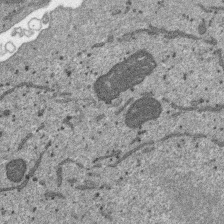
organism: Human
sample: Lung epithelial cells infected with SARS-CoV-2